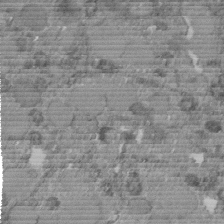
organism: C. elegans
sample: C. elegans embryo early stage